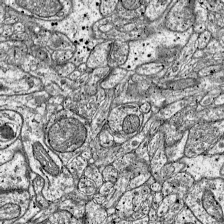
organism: Mouse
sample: Visual Cortex